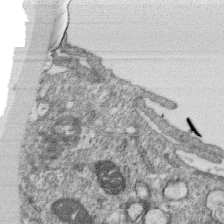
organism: African green monkey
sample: Vero E6 cells infected with SARS-CoV-2